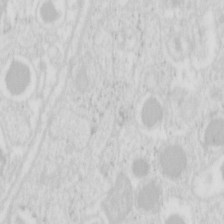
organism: Mouse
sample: Pancreas